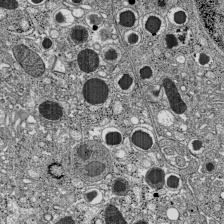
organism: C57BL Mouse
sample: Pancreatic islet